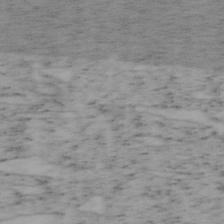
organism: Mouse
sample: OT-I killer T cells with ID8 ovarian cancer cells